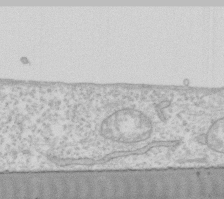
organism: Human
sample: Fibroblast cells